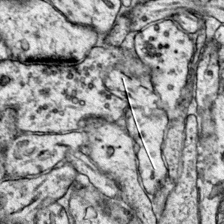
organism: Mouse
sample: Primary visual cortex